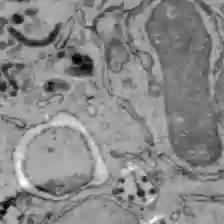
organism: C57BL Mouse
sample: Liver